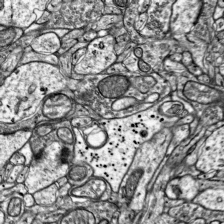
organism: Mouse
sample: Visual Cortex